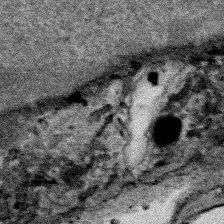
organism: Human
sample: Mitochondria in HCT116 cells